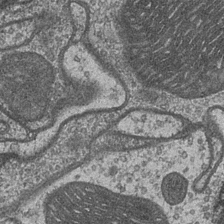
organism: Drosophila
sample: Optic medulla